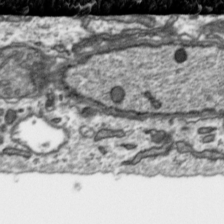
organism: Toxoplasma gondii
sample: Parasites in a vacuole inside a host cell